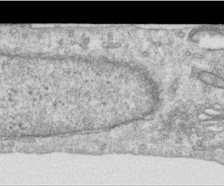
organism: Human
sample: Centriole in RPE cells